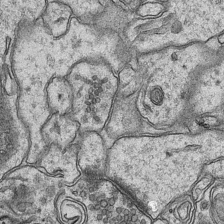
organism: Mouse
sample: CA1 Hippocampus